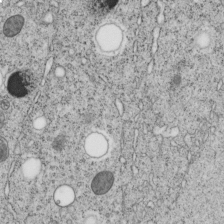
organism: C. elegans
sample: C. elegans embryo early stage